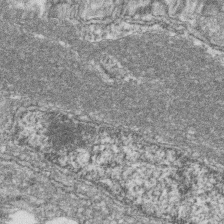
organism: Zebrafish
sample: Cilia; retinal pigment epithelium